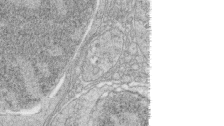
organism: Zebrafish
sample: synaptic ribbons in rod cells and cone cells